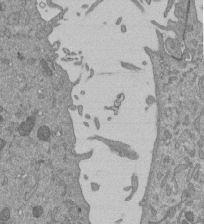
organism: Mouse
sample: ED-1 cell nuclei; centrioles